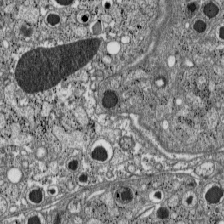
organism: C57BL Mouse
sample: Pancreatic islet